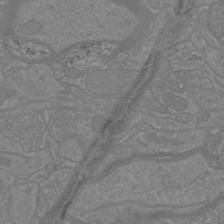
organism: Mouse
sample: Cortical neurons